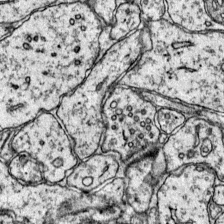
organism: Mouse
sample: Primary visual cortex